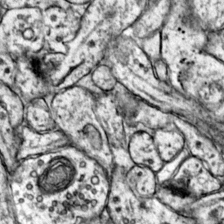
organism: Mouse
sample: Primary visual cortex